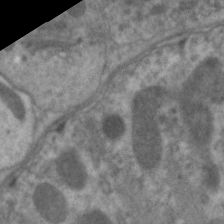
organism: C. elegans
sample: Pharynx